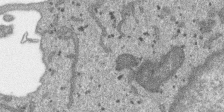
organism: Human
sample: Lung epithelial cells infected with SARS-CoV-2